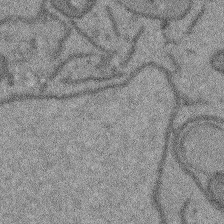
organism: Arabidopsis thaliana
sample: Root tip